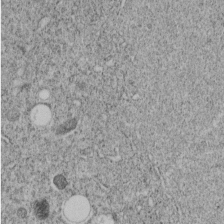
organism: C. elegans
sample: C. elegans embryo early stage